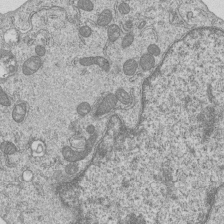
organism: Human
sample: MDA-MB-231 cells